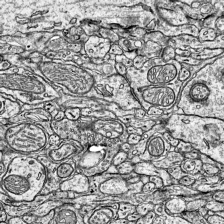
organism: Mouse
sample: Visual Cortex